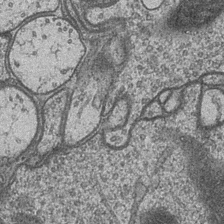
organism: Drosophila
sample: Optic medulla